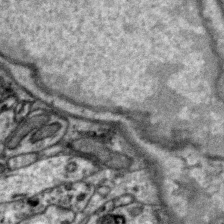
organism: Zebra finch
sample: Brain